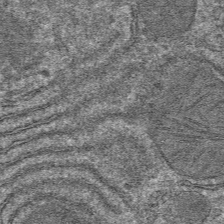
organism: Mouse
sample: Mouse hepatocytes